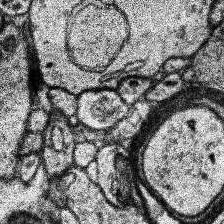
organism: Human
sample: Temporal Lobe